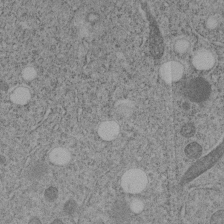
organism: C. elegans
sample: C. elegans embryo early stage